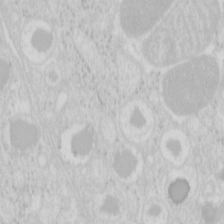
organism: Mouse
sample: Pancreas